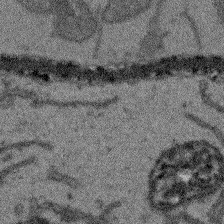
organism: Arabidopsis thaliana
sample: Root tip